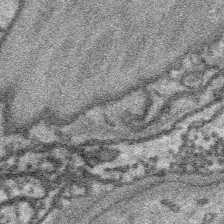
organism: Platynereis dumerilii